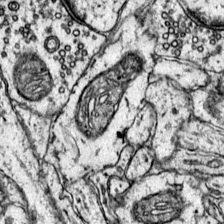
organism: Mouse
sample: Primary visual cortex